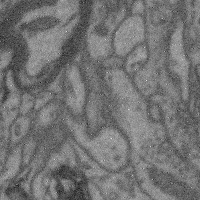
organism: Mouse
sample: Cerebral cortex